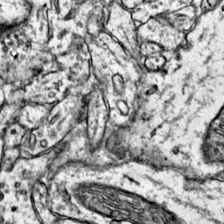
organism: Mouse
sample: Primary visual cortex